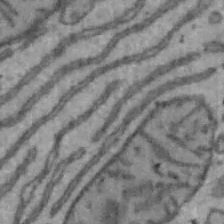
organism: Mouse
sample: Liver